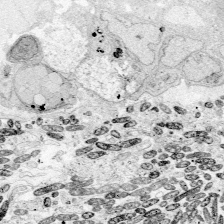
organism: Zebrafish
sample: Whole-Brain